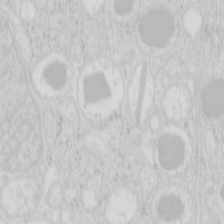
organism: Mouse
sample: Pancreas